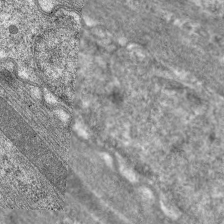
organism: C. elegans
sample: Pharynx